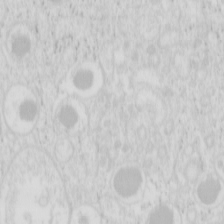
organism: Mouse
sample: Pancreas